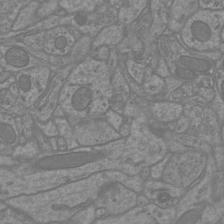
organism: Mouse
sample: Cortical neurons